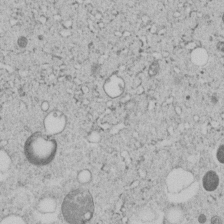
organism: C. elegans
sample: C. elegans embryo early stage